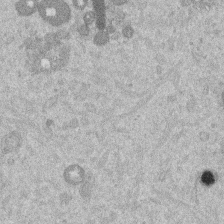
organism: Mouse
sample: Dividing mouse embryo 1 cell stage